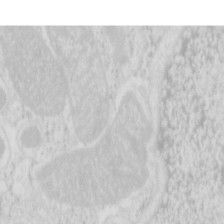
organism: Mouse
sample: Pancreas